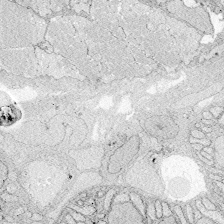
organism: Zebrafish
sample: Whole-Brain